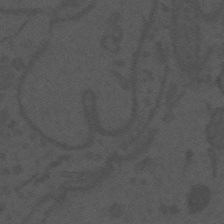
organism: Mouse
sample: Suprachiasmatic nucleus